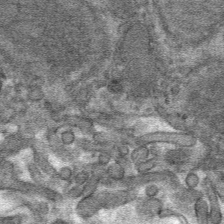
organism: Mouse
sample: Mouse hepatocytes